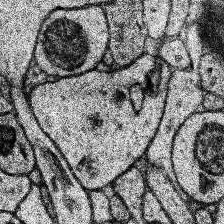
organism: Human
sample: Temporal Lobe